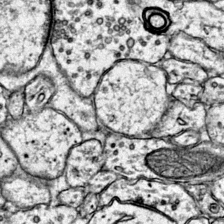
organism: Mouse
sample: Primary visual cortex